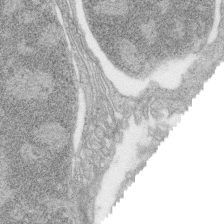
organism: Zebrafish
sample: synaptic ribbons in rod cells and cone cells